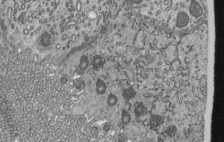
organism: Mouse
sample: Mouse epididymis efferent ductule cilia